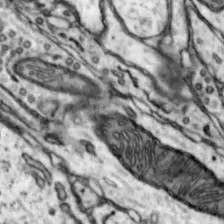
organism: Mouse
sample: Nucleus accumbens